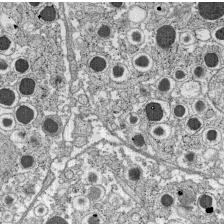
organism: C57BL Mouse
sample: Pancreatic islet